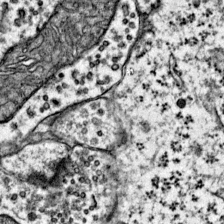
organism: Mouse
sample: Primary visual cortex